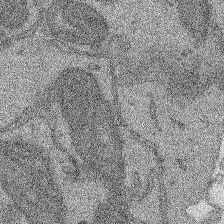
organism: Human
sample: HeLa cells